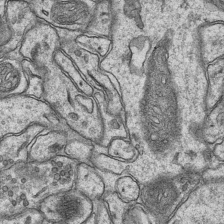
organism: Mouse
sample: CA1 Hippocampus